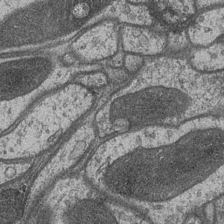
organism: Drosophila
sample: Optic medulla